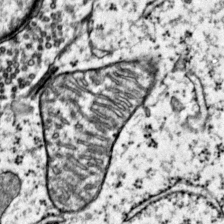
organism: Mouse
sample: Primary visual cortex